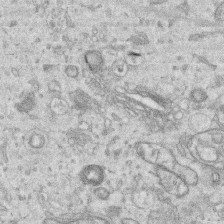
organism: Human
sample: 1205lu cells